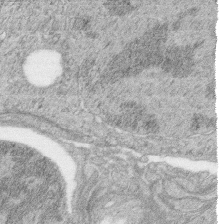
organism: Zebrafish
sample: synaptic ribbons in rod cells and cone cells